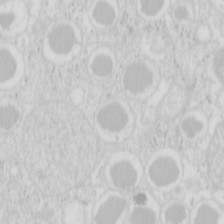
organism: Mouse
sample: Pancreas